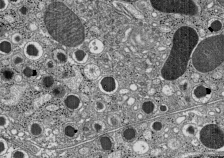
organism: C57BL Mouse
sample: Pancreatic islet